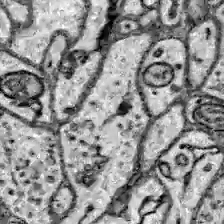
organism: Zebrafish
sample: Brain